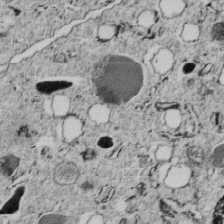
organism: C. elegans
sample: C. elegans embryo early stage